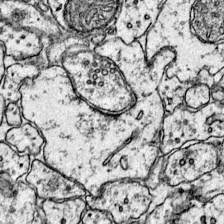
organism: Mouse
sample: Primary visual cortex